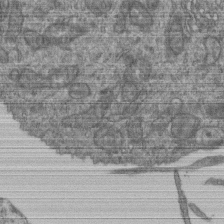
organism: Human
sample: Retinal organoid Rod and Cone cells